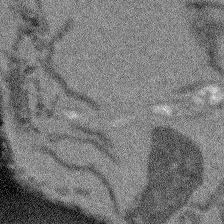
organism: Arabidopsis thaliana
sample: Root tip